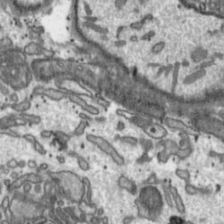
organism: Toxoplasma gondii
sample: Parasites in a vacuole inside a host cell